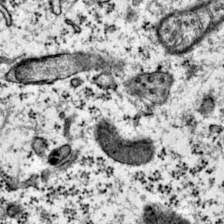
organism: Mouse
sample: Primary visual cortex